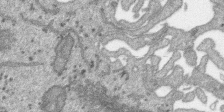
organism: Human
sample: Lung epithelial cells infected with SARS-CoV-2